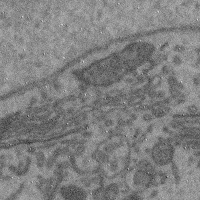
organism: Mouse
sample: Cerebral cortex